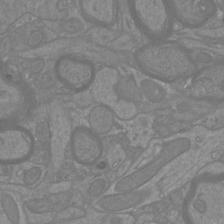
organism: Mouse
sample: Cortical neurons